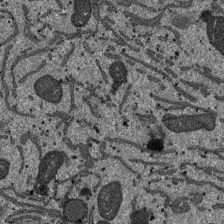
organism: Human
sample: Lung epithelial cells infected with SARS-CoV-2